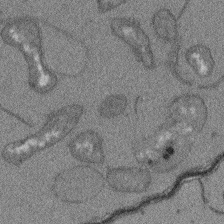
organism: Arabidopsis thaliana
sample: Root tip